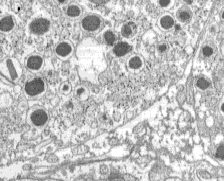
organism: C57BL Mouse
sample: Pancreatic islet